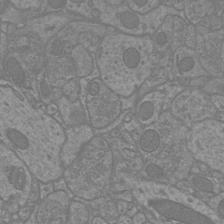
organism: Mouse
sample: Cortical neurons